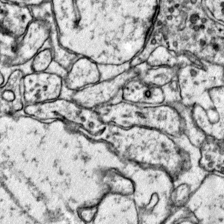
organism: Mouse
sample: Primary visual cortex